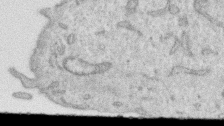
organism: Human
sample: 1205lu cells